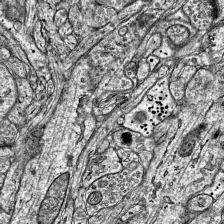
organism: Mouse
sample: Visual Cortex